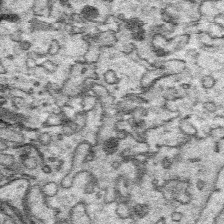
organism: Platynereis dumerilii